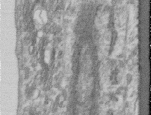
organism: Human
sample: Centriole in RPE cells